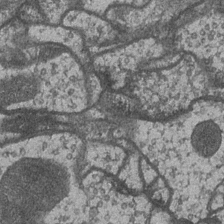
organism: Drosophila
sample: Optic medulla